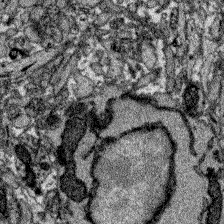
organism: Zebrafish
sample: Larval olfactory bulb